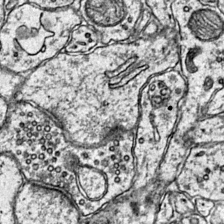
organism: Mouse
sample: Primary visual cortex